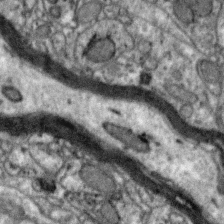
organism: Zebra finch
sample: Brain